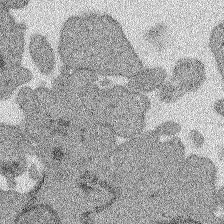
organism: Human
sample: HeLa cells